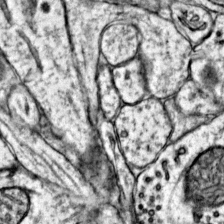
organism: Mouse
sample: Primary visual cortex